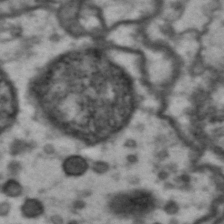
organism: Drosophila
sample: Brain